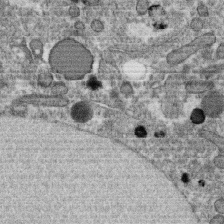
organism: C. elegans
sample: C. elegans oocyte; sperm cells